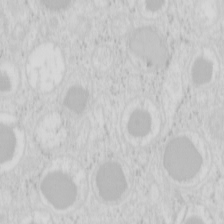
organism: Mouse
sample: Pancreas